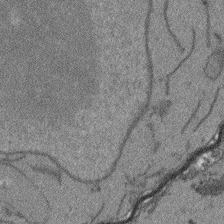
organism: Arabidopsis thaliana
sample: Root tip